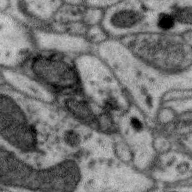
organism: Zebra finch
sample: Brain